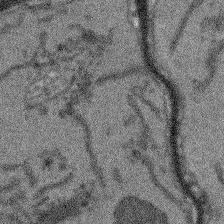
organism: Arabidopsis thaliana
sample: Root tip